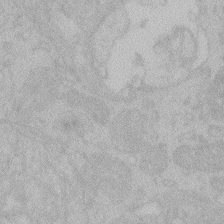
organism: Zebrafish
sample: Macrophage infected with Toxoplasma gondii